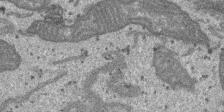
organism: Human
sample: Lung epithelial cells infected with SARS-CoV-2